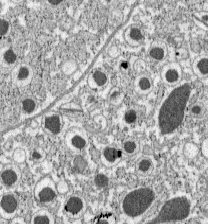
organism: C57BL Mouse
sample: Pancreatic islet